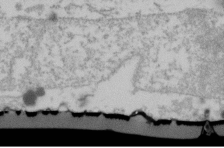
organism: Human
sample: U2-OS cells